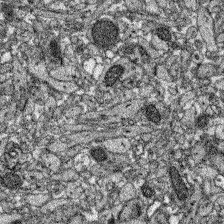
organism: Zebrafish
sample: Larval olfactory bulb